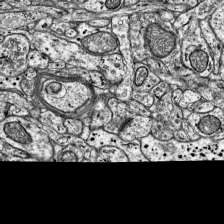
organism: Mouse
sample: Visual Cortex